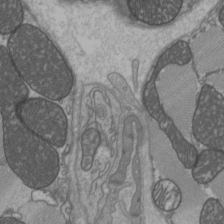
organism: C57BL Mouse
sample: Heart